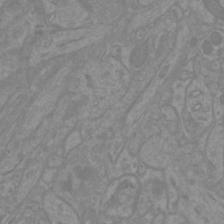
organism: Mouse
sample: Cortical neurons